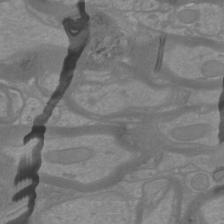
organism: Mouse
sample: Cortical neurons